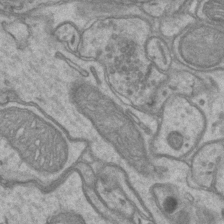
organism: Mouse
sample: CA1 Hippocampus